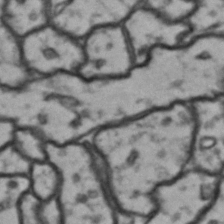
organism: Drosophila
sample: Brain